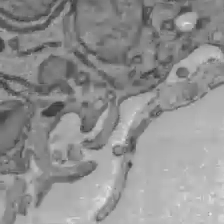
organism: C57BL Mouse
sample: Liver